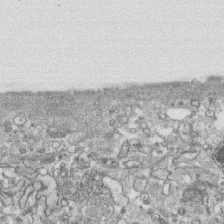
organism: Human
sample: CRL-1474